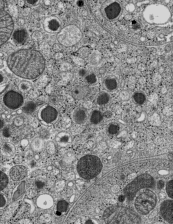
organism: C57BL Mouse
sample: Pancreatic islet